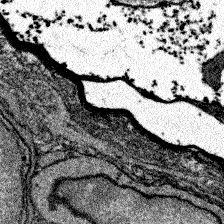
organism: Zebrafish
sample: Larval olfactory bulb